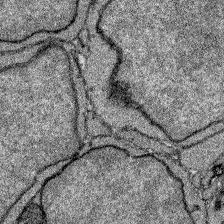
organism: Zebrafish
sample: Larval olfactory bulb